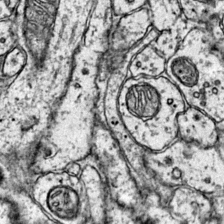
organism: Mouse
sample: Primary visual cortex